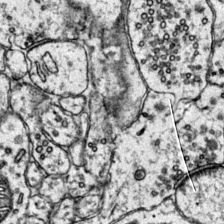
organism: Mouse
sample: Primary visual cortex